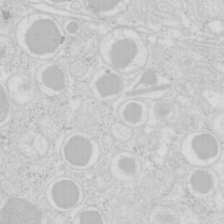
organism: Mouse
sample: Pancreas